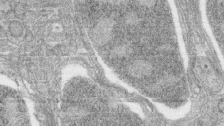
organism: Zebrafish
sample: synaptic ribbons in rod cells and cone cells